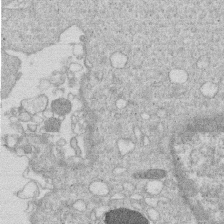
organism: Human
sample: Macrophage cells